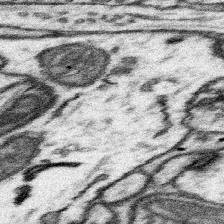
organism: Mouse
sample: Somatosensory cortex neuropil